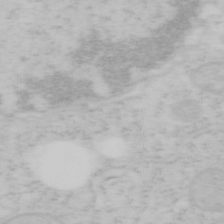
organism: Mouse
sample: OT-I killer T cells with ID8 ovarian cancer cells